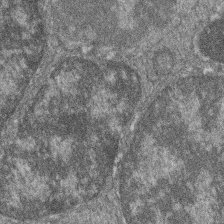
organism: Zebrafish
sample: Cilia; retinal pigment epithelium